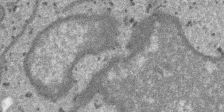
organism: Human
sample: Lung epithelial cells infected with SARS-CoV-2